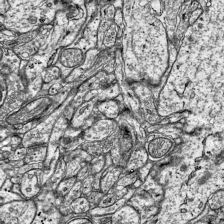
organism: Mouse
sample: Visual Cortex